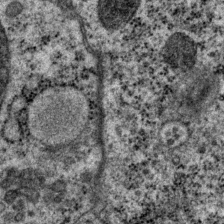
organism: P. pacificus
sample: Pharynx